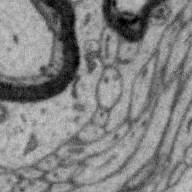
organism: Zebra finch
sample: Brain